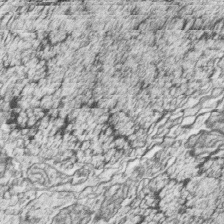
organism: Zebrafish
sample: synaptic ribbons in rod cells and cone cells